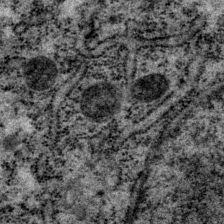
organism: P. pacificus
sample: Pharynx